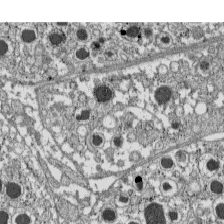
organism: C57BL Mouse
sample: Pancreatic islet